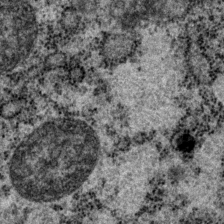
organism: P. pacificus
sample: Pharynx